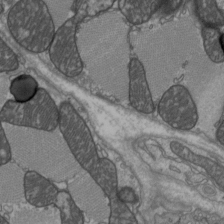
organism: C57BL Mouse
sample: Heart